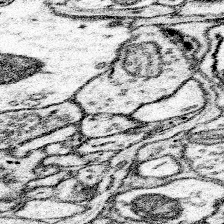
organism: Mouse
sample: Somatosensory cortex neuropil